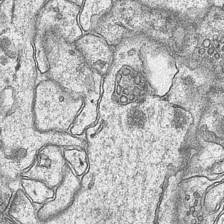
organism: Mouse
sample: CA1 Hippocampus